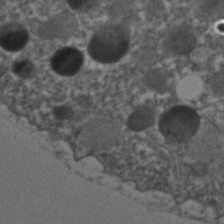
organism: C. elegans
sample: C. elegans embryo